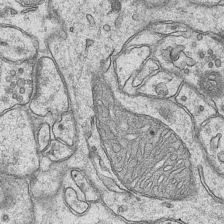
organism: Mouse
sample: CA1 Hippocampus